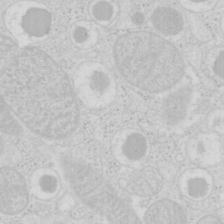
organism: Mouse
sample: Pancreas